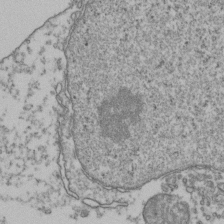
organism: Human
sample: Activated Jurkat CD4+ T cells